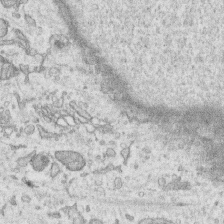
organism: Human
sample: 1205lu cells